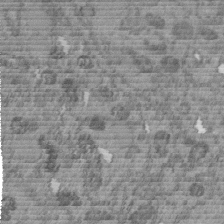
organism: C. elegans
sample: C. elegans embryo early stage